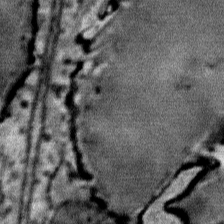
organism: Mouse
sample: Mouse Salivary gland